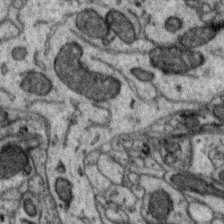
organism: Zebra finch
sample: Brain